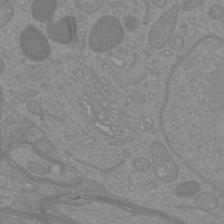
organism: Mouse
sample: Cortical neurons